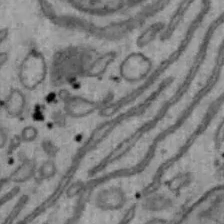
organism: Mouse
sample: Liver